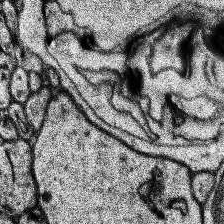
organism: Human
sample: Temporal Lobe